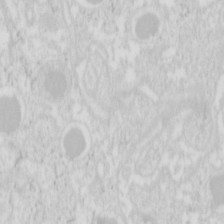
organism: Mouse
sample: Pancreas